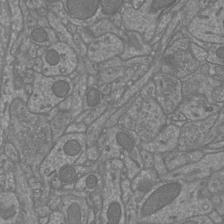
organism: Mouse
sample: Cortical neurons